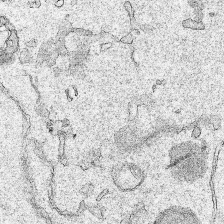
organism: Human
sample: Mitochondria in HCT116 cells